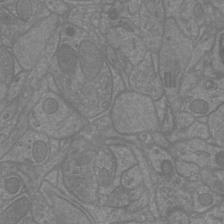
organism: Mouse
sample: Cortical neurons